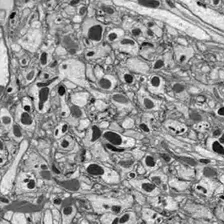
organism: Drosophila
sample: Optic lobe